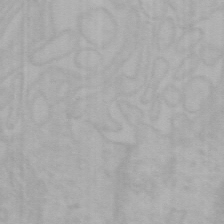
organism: Mouse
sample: Choroid plexus